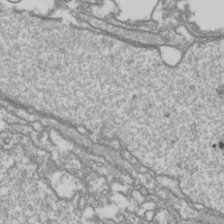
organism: Drosophila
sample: Cell division; meiosis; drosophila spermatocytes